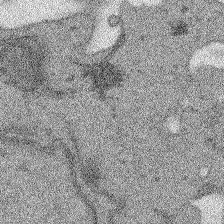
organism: Human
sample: HeLa cells